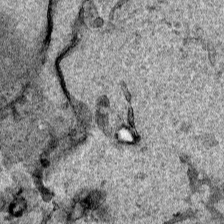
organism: Human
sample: Mitochondria in HCT116 cells